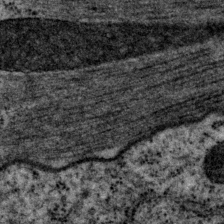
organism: P. pacificus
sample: Pharynx